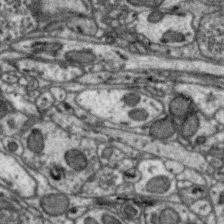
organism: Zebra finch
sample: Brain